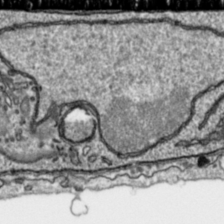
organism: Toxoplasma gondii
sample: Parasites in a vacuole inside a host cell